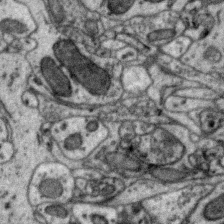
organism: Zebra finch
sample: Brain